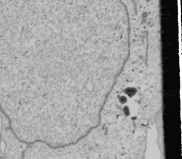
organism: Human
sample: Mitochondria in U2OS cells